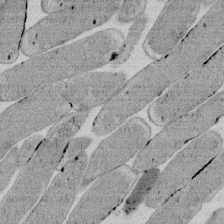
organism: E. coli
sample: Bacterial nucleoid